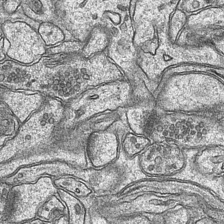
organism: Mouse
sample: CA1 Hippocampus